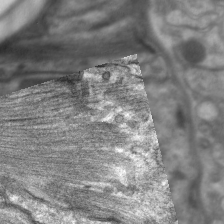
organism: C. elegans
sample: Pharynx